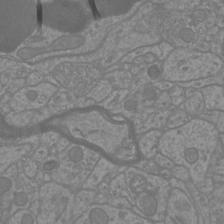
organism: Mouse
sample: Cortical neurons